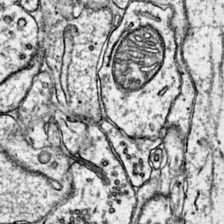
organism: Mouse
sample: Primary visual cortex